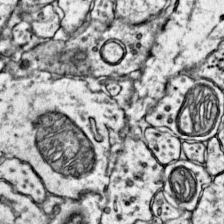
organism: Mouse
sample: Primary visual cortex